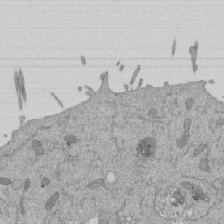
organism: Mouse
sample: ED-1 cell nuclei; centrioles